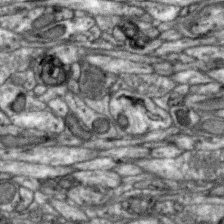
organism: Zebra finch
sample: Brain